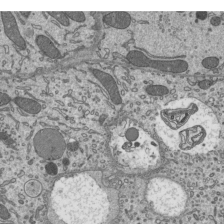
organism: Mouse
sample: Mouse epididymis efferent ductule cilia